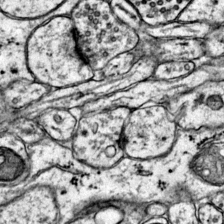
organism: Mouse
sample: Primary visual cortex